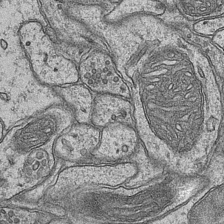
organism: Mouse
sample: CA1 Hippocampus